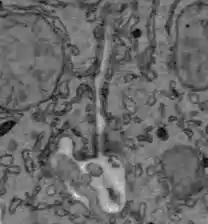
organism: C57BL Mouse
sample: Liver